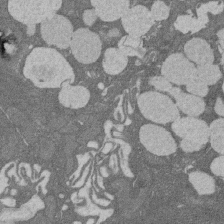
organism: Rat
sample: Salivary granule